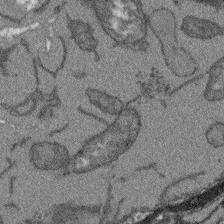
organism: Arabidopsis thaliana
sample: Root tip